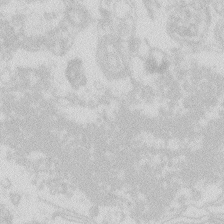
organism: Zebrafish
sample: Macrophage